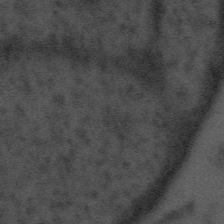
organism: Tuwongella immobilis